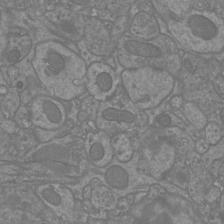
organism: Mouse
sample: Cortical neurons